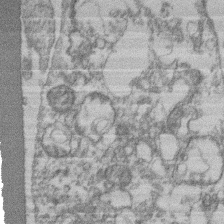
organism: Mouse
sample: T cell stromal cell synapse